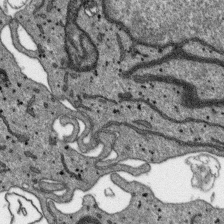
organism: Human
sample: Lung epithelial cells, uninfected (mock) control